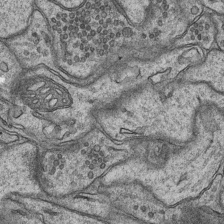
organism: Mouse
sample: CA1 Hippocampus